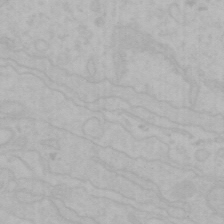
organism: Mouse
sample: Choroid plexus